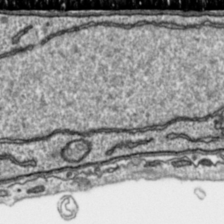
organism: Toxoplasma gondii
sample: Parasites in a vacuole inside a host cell